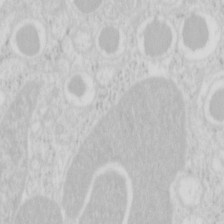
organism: Mouse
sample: Pancreas